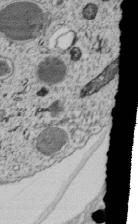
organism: C. elegans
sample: C. elegans embryo early stage